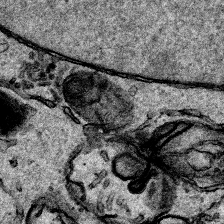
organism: Human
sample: Mitochondria in HCT116 cells